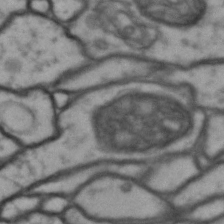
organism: Drosophila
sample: Brain